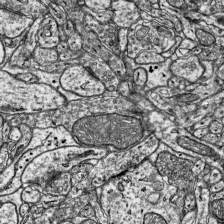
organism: Mouse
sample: Visual Cortex